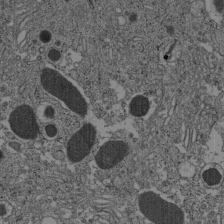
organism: C57BL Mouse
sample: Pancreatic islet